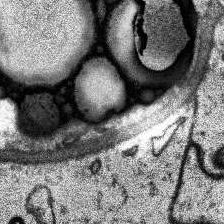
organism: Human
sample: Temporal Lobe